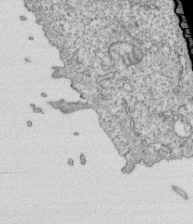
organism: Human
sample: HeLa cell HIV synapse